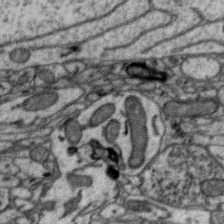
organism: Zebra finch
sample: Brain